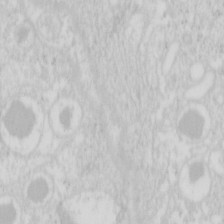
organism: Mouse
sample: Pancreas